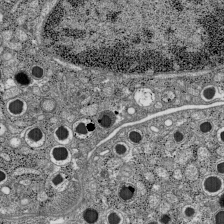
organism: C57BL Mouse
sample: Pancreatic islet